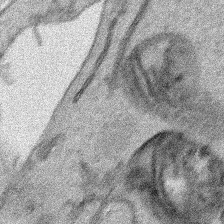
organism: Human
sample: Mitochondria in HCT116 cells